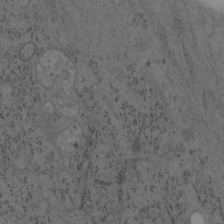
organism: Mouse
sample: OT-I killer T cells with ID8 ovarian cancer cells